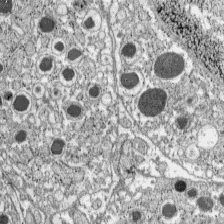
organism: C57BL Mouse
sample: Pancreatic islet